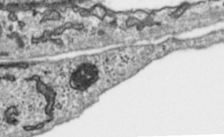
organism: Toxoplasma gondii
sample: Parasites in a vacuole inside a host cell